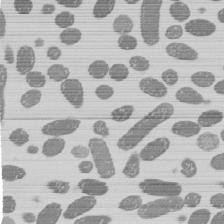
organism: E. coli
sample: Bacterial nucleoid